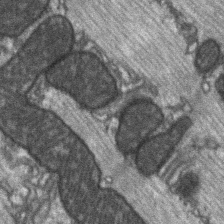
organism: C57BL Mouse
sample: Soleus